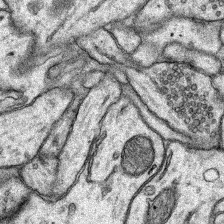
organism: Rat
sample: Hippocampus